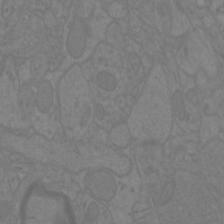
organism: Mouse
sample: Cortical neurons